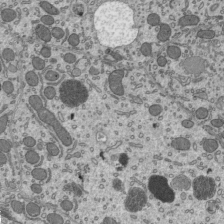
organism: Mouse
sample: Mouse epididymis efferent ductule cilia